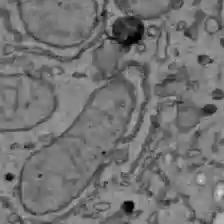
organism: C57BL Mouse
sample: Liver